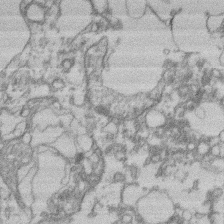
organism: Mouse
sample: T cell stromal cell synapse